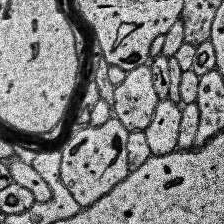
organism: Human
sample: Temporal Lobe